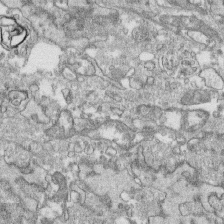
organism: Human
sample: CRL-1474